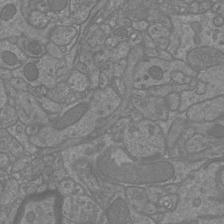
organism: Mouse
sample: Cortical neurons